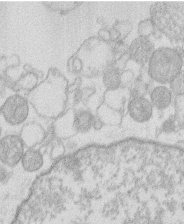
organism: Human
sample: Macrophage cells